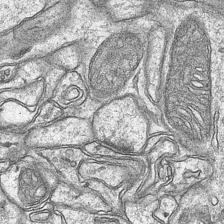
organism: Mouse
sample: CA1 Hippocampus